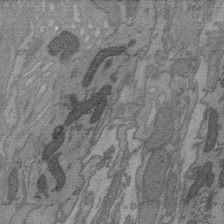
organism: C. elegans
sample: AFD neurons C. elegans